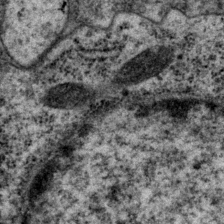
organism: P. pacificus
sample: Pharynx